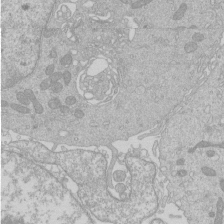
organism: Human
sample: Macrophage cells